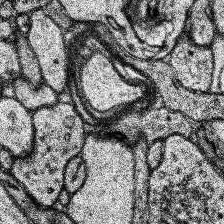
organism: Human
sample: Temporal Lobe